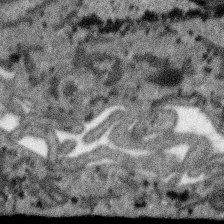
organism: Human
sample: Lung epithelial cells infected with SARS-CoV-2